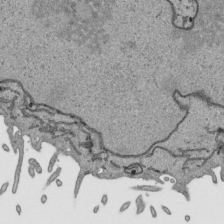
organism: Human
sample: Mitochondria in HCT116 cells